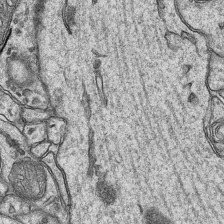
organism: Mouse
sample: CA1 Hippocampus